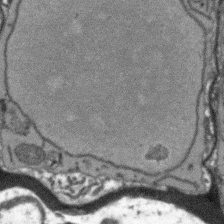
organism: Arabidopsis thaliana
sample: Root tip